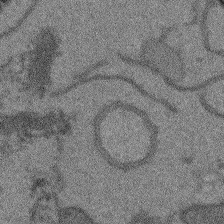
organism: Arabidopsis thaliana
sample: Root tip